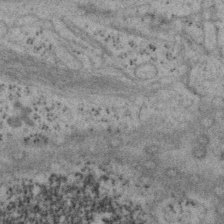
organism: Human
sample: HeLa cells